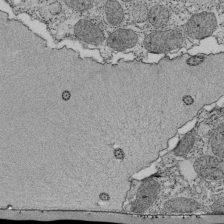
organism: Tetrahymena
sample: Cilia in tetrahymena